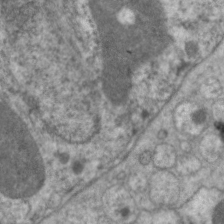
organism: C. elegans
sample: Pharynx